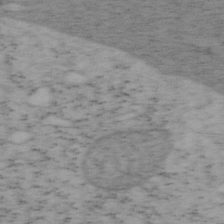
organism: Mouse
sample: OT-I killer T cells with ID8 ovarian cancer cells